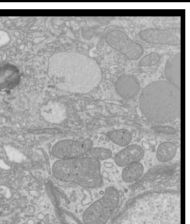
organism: Mouse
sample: Cilia; mouse epididymis